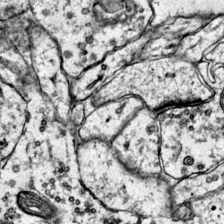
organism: Mouse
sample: Primary visual cortex